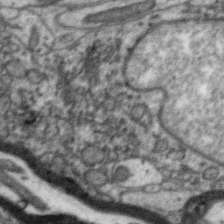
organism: Zebra finch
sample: Brain